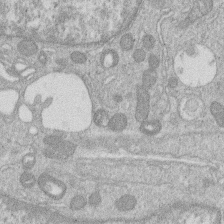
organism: Human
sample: Macrophage cells